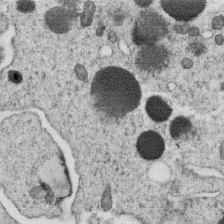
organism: C. elegans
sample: C. elegans oocyte; sperm cells